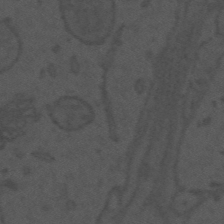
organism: Mouse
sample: Suprachiasmatic nucleus